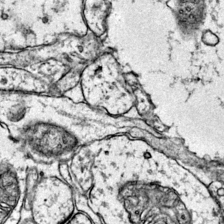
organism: Mouse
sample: Primary visual cortex